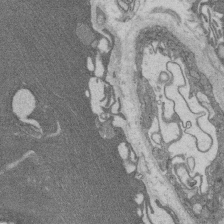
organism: Rat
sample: Salivary granule